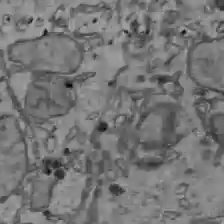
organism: C57BL Mouse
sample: Liver